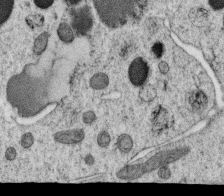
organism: C. elegans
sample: C. elegans oocyte; sperm cells